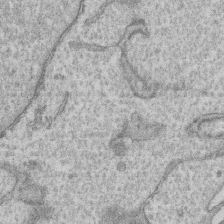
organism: Human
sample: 1205lu cells